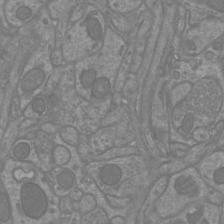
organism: Mouse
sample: Cortical neurons